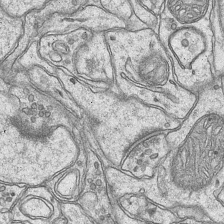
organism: Mouse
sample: CA1 Hippocampus